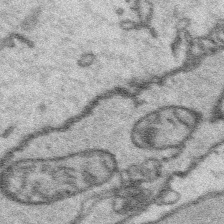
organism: Platynereis dumerilii